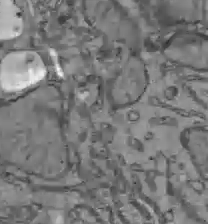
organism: C57BL Mouse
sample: Liver